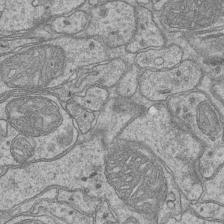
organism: Mouse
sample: CA1 Hippocampus